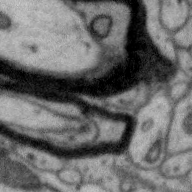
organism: Zebra finch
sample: Brain